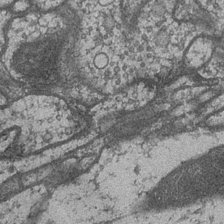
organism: Drosophila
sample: Optic medulla